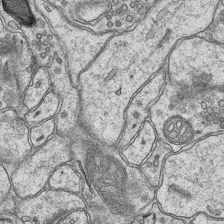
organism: Mouse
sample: CA1 Hippocampus